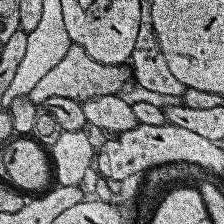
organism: Human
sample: Temporal Lobe